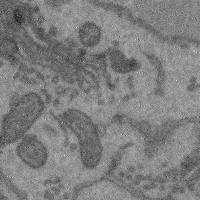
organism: Mouse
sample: Cerebral cortex